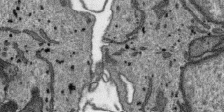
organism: Human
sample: Lung epithelial cells, uninfected (mock) control